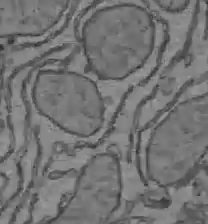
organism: C57BL Mouse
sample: Liver